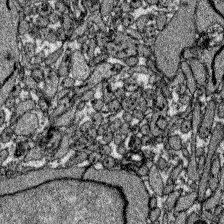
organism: Zebrafish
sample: Larval olfactory bulb